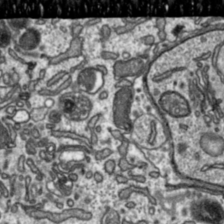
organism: Toxoplasma gondii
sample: Parasites in a vacuole inside a host cell